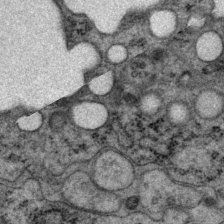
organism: P. pacificus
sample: Pharynx